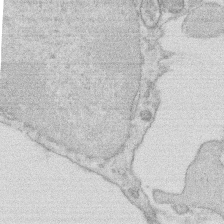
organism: Rat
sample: Salivary granule